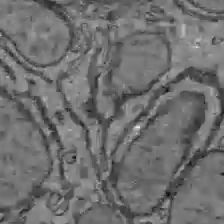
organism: C57BL Mouse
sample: Liver